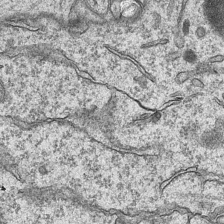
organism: Mouse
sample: CA1 Hippocampus